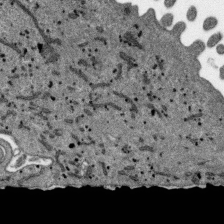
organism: Human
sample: Lung epithelial cells, uninfected (mock) control